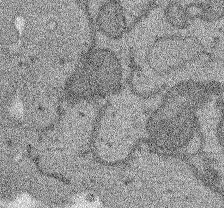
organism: Human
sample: HeLa cells